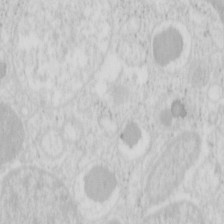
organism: Mouse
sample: Pancreas